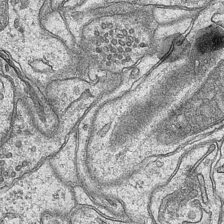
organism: Mouse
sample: CA1 Hippocampus